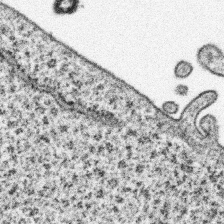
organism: Human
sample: HeLa cells